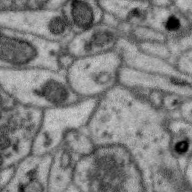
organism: Zebra finch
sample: Brain